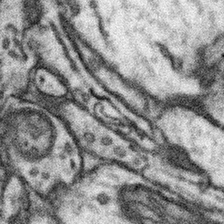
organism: Mouse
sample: Somatosensory cortex neuropil